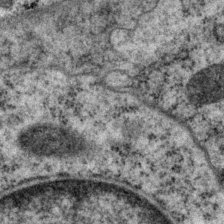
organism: P. pacificus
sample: Pharynx